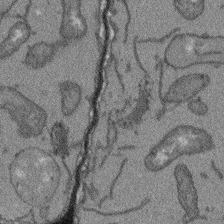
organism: Arabidopsis thaliana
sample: Root tip